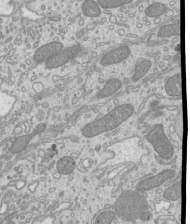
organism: Mouse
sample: Cilia; mouse epididymis